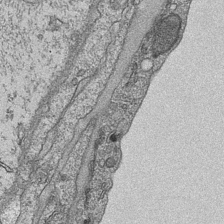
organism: Mouse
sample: CA1 Hippocampus